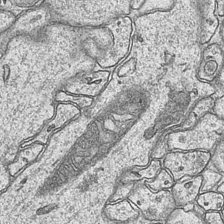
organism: Mouse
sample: CA1 Hippocampus